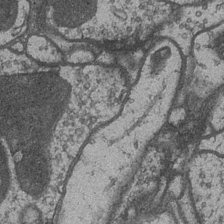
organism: Drosophila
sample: Optic medulla